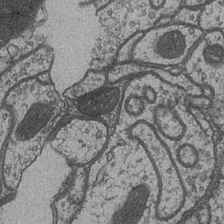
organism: Drosophila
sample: Optic medulla